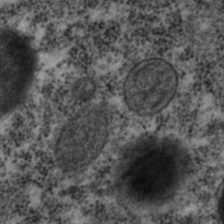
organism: C. elegans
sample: C. elegans embryo